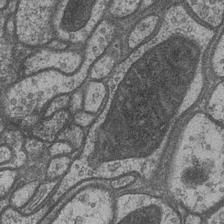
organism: Drosophila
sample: Optic medulla